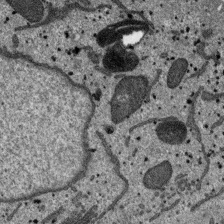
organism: Human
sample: Lung epithelial cells, uninfected (mock) control